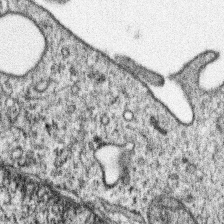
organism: Human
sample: HeLa cells